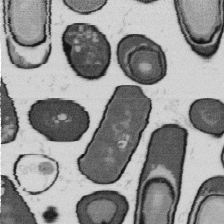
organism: B. subtilis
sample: Bacterial spore